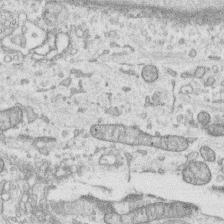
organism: Human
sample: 1205lu cells